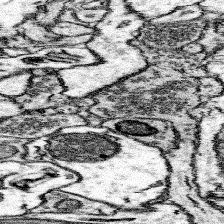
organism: Mouse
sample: Somatosensory cortex neuropil